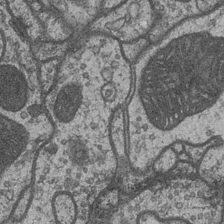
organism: Drosophila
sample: Optic medulla